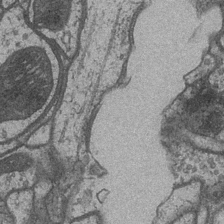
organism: Drosophila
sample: Optic medulla